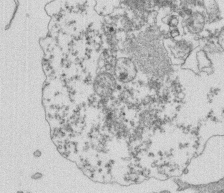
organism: Human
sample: HeLa cell HIV synapse